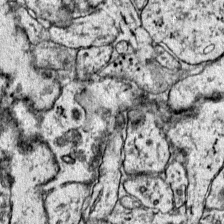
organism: Mouse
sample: Primary visual cortex